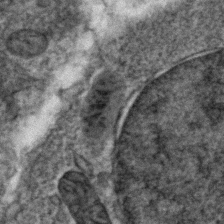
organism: Zebrafish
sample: Zebrafish embryo